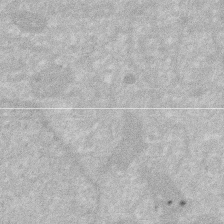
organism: Human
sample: HIV infected U937 cells